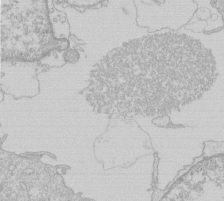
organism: Human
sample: Macrophage cells